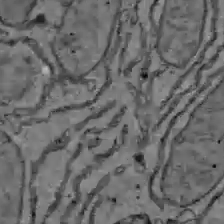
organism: C57BL Mouse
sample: Liver